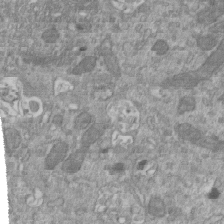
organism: Mouse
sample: ED-1 cell nuclei; centrioles